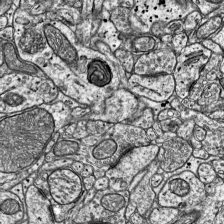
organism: Mouse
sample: Visual Cortex